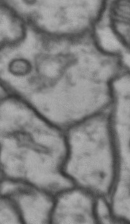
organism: Drosophila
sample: Brain